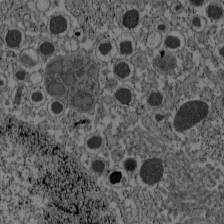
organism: C57BL Mouse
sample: Pancreatic islet